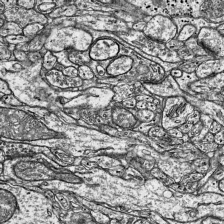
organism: Mouse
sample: Visual Cortex